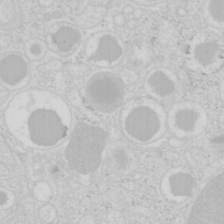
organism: Mouse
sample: Pancreas